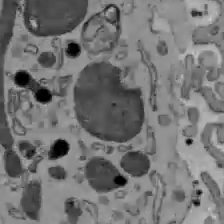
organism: C57BL Mouse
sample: Liver